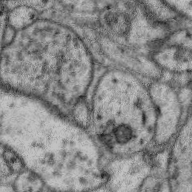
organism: Zebra finch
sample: Brain